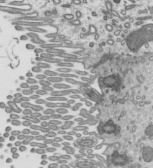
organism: Mouse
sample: Mouse epididymis efferent ductule cilia